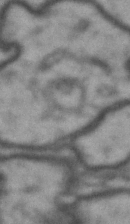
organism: Drosophila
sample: Brain